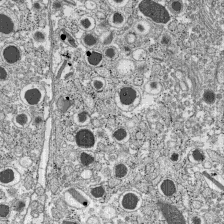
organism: C57BL Mouse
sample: Pancreatic islet